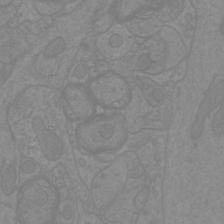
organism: Mouse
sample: Cortical neurons